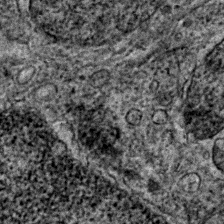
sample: Trachea